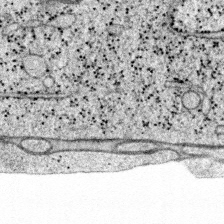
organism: Human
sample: HeLa cells